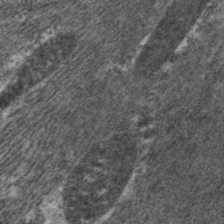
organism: C. elegans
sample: Pharynx